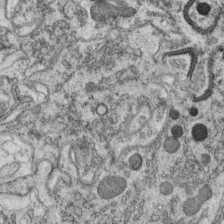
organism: C. elegans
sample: C. elegans oocyte; sperm cells